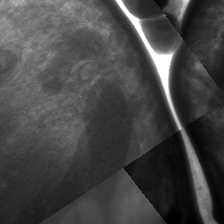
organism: C. elegans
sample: Pharynx